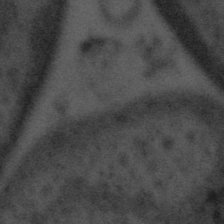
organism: Tuwongella immobilis